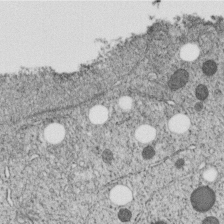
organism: C. elegans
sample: C. elegans embryo early stage